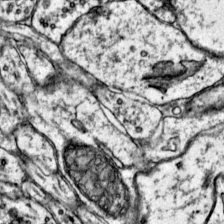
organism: Mouse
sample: Primary visual cortex